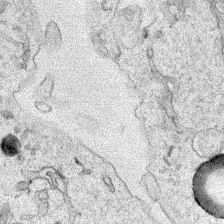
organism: Human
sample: Mitochondria in HCT116 cells